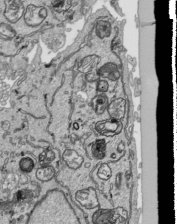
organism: Human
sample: Mitochondria in HCT116 cells